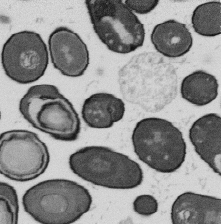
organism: B. subtilis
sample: Bacterial spore